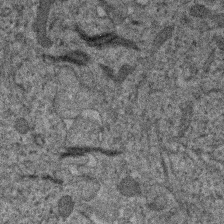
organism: Human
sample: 1205lu cells